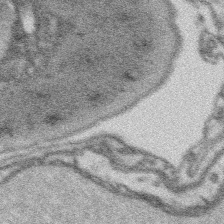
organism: Platynereis dumerilii